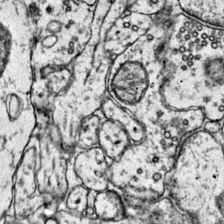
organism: Mouse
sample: Primary visual cortex